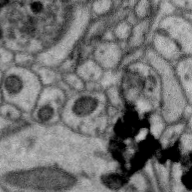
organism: Zebra finch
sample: Brain